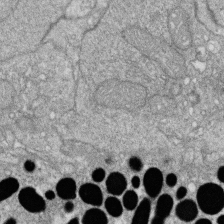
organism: Zebrafish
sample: Cilia; retinal pigment epithelium